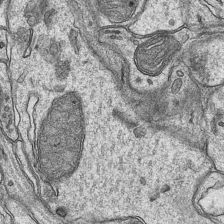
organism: Mouse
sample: CA1 Hippocampus